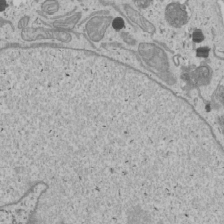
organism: Human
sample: Mitochondria in U2OS cells